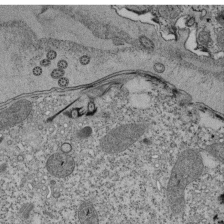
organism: Tetrahymena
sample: Cilia in tetrahymena